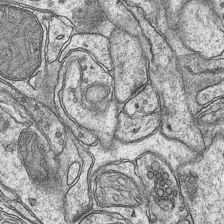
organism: Mouse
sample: CA1 Hippocampus